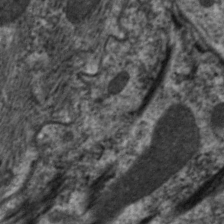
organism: C. elegans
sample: Pharynx